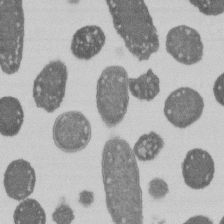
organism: E. coli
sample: Bacterial nucleoid